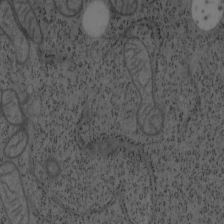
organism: Mouse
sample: OT-I killer T cells with ID8 ovarian cancer cells